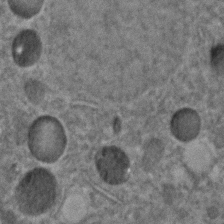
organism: C. elegans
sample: C. elegans embryo